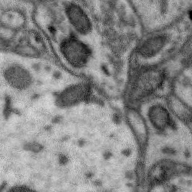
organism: Zebra finch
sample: Brain